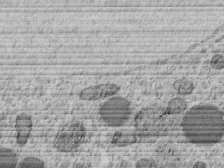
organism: C. elegans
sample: C. elegans embryo early stage